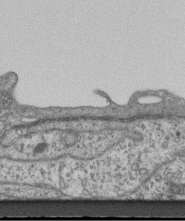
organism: Mouse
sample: Centriole in ependymal cells